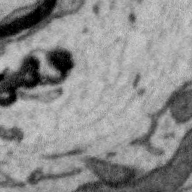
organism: Zebra finch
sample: Brain